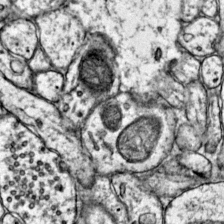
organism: Mouse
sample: Primary visual cortex